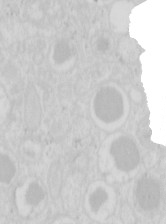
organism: Mouse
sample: Pancreas